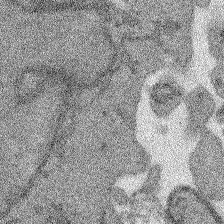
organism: Human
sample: HeLa cells